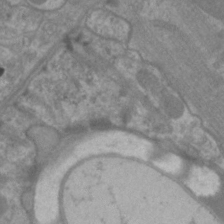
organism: C. elegans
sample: Pharynx